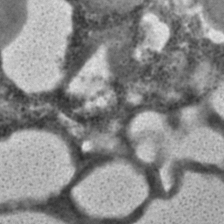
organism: C. elegans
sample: C. elegans embryo